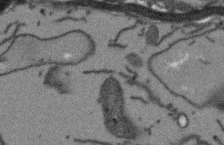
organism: Arabidopsis thaliana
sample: Root tip